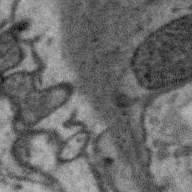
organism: Zebra finch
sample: Brain